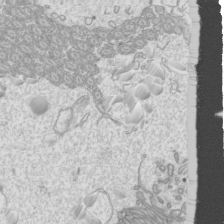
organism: Mouse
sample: Cilia; mouse epididymis